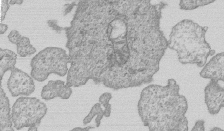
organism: Human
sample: MDA-MB-231 cells